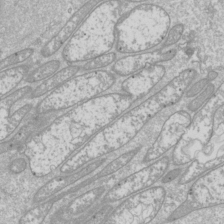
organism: Drosophila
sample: Cell division; meiosis; drosophila spermatocytes